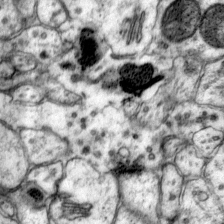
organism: Mouse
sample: Primary visual cortex